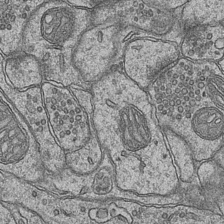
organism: Mouse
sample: CA1 Hippocampus